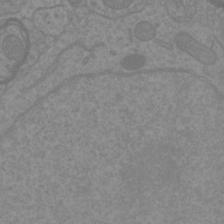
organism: Mouse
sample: Cortical neurons